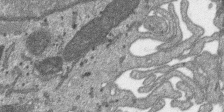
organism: Human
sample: Lung epithelial cells infected with SARS-CoV-2